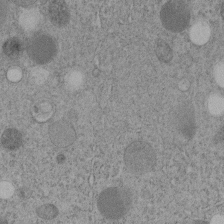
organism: C. elegans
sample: C. elegans embryo early stage